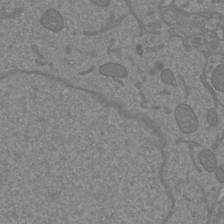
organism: Mouse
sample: Cortical neurons